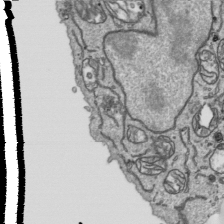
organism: Human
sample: Mitochondria in HCT116 cells